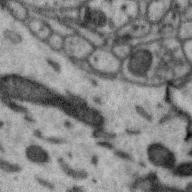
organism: Zebra finch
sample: Brain